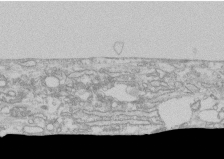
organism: Human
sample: CRL-1474